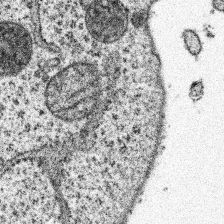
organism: Human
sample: HeLa cells